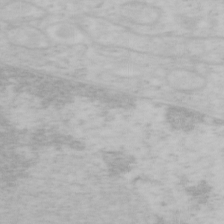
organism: Mouse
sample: OT-I killer T cells with ID8 ovarian cancer cells